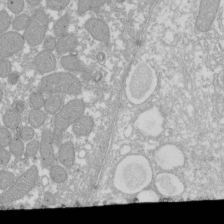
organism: Xenopus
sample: Cilia; centrioles in frog embryo cells